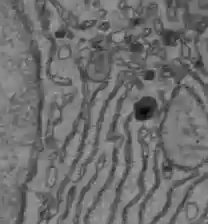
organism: C57BL Mouse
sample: Liver